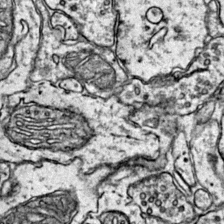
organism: Mouse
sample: Primary visual cortex